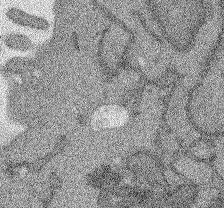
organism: Human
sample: HeLa cells